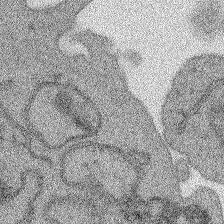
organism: Human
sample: HeLa cells